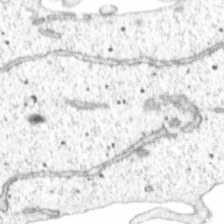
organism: Human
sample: HeLa cells